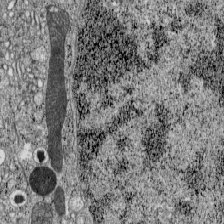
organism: C57BL Mouse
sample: Pancreatic islet